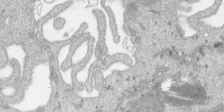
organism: Human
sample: Lung epithelial cells infected with SARS-CoV-2